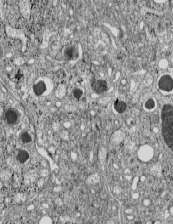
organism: C57BL Mouse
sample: Pancreatic islet